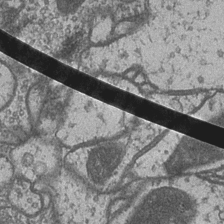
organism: Drosophila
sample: Optic medulla